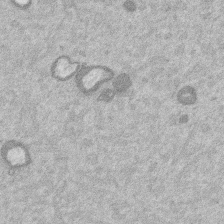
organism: Mouse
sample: Dividing mouse embryo 1 cell stage